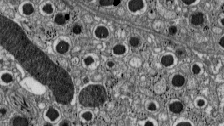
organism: C57BL Mouse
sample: Pancreatic islet